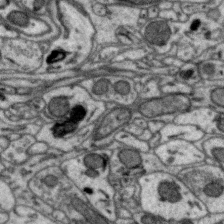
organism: Zebra finch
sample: Brain